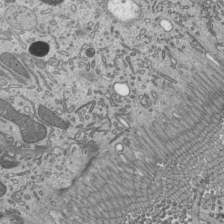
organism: Mouse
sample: Mouse epididymis efferent ductule cilia